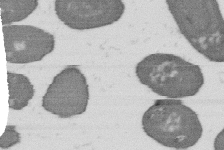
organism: B. subtilis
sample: Bacterial spore